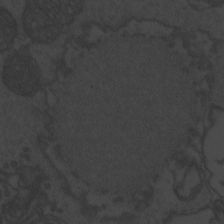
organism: Zebrafish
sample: Macrophage infected with Toxoplasma gondii